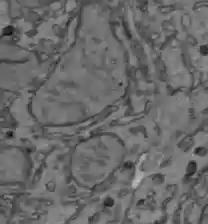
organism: C57BL Mouse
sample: Liver